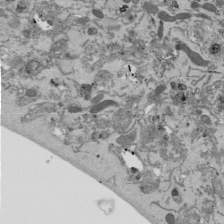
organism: Mouse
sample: ED-1 cell nuclei; centrioles